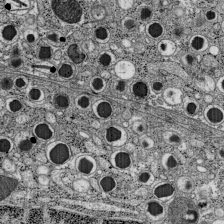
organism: C57BL Mouse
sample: Pancreatic islet